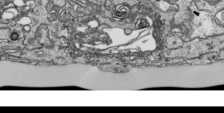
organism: Human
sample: Mitochondria in HCT116 cells